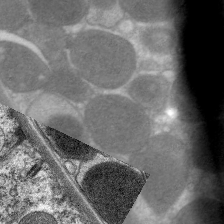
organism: C. elegans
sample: Pharynx